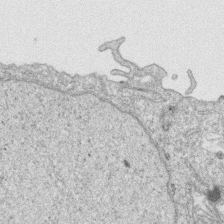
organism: Human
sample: HeLa cell HIV synapse